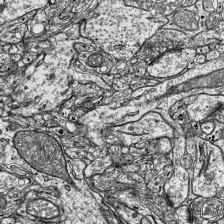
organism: Mouse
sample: Visual Cortex